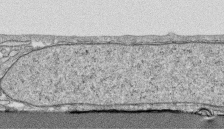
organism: Human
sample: CRL-1474